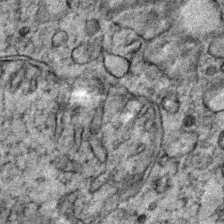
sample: Trachea